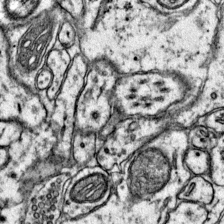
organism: Mouse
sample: Primary visual cortex